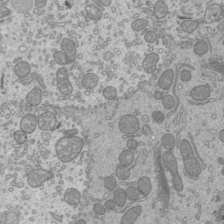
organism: Mouse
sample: Cilia; mouse epididymis